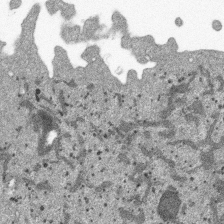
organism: Human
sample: Lung epithelial cells infected with SARS-CoV-2